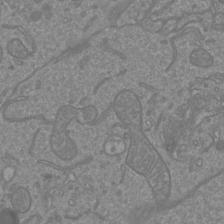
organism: Mouse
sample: Cortical neurons